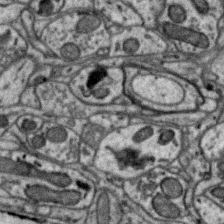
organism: Zebra finch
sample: Brain